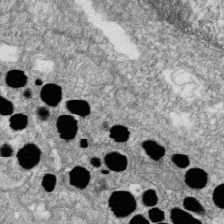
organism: Zebrafish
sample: Cilia; retinal pigment epithelium